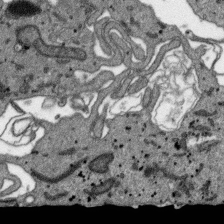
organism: Human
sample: Lung epithelial cells, uninfected (mock) control